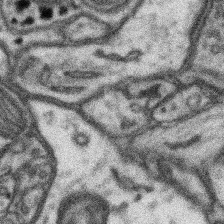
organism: Mouse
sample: Somatosensory cortex neuropil